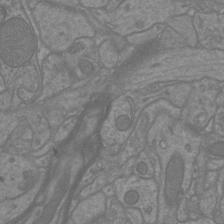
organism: Mouse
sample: Cortical neurons